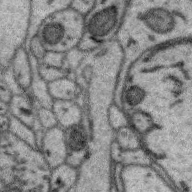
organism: Zebra finch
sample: Brain